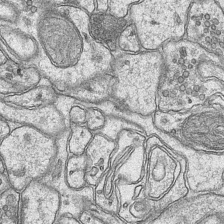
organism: Mouse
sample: CA1 Hippocampus